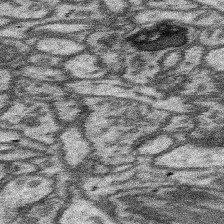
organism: Mouse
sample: Somatosensory cortex neuropil